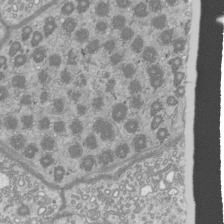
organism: Mouse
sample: Cilia; mouse epididymis